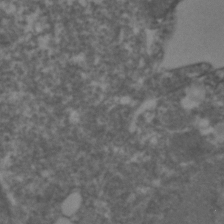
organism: Zebrafish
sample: Zebrafish embryo